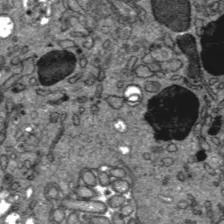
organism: C57BL Mouse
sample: Liver